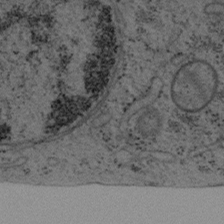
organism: Human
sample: HeLa cells